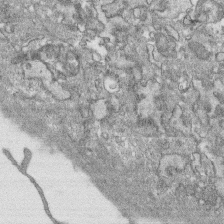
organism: Human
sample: CRL-1474